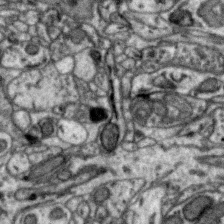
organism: Zebra finch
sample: Brain